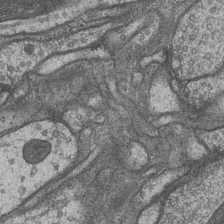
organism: Drosophila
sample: Optic medulla